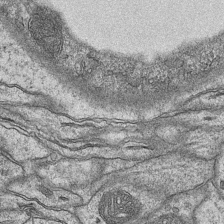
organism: Mouse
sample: CA1 Hippocampus